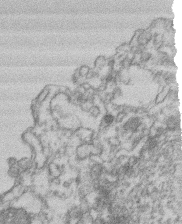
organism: Mouse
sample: T cell stromal cell synapse